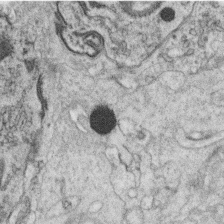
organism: C. elegans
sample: C. elegans oocyte; sperm cells